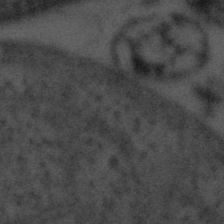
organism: Tuwongella immobilis